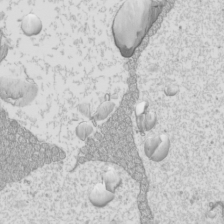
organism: Mouse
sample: Cilia; mouse epididymis